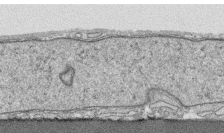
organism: Human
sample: CRL-1474